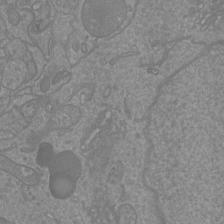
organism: Mouse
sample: Cortical neurons